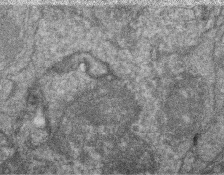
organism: Zebrafish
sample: Cilia; retinal pigment epithelium